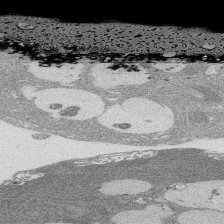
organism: Rat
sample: Salivary granule